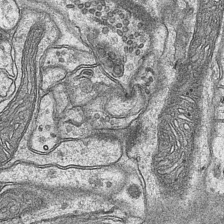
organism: Mouse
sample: CA1 Hippocampus